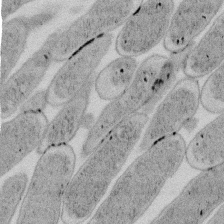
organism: E. coli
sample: Bacterial nucleoid